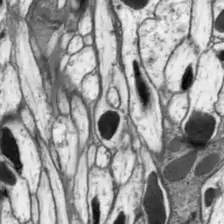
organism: Drosophila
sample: Optic lobe